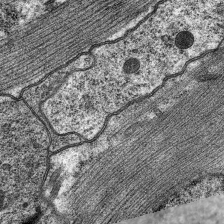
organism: C. elegans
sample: Pharynx